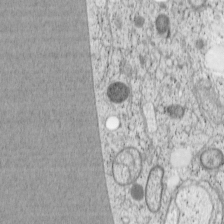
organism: African green monkey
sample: COS-7 cells